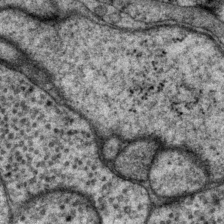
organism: P. pacificus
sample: Pharynx